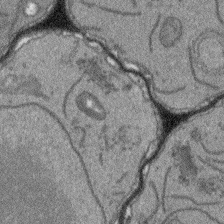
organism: Arabidopsis thaliana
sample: Root tip